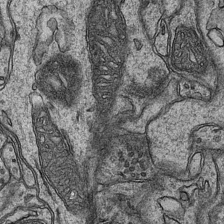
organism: Mouse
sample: CA1 Hippocampus